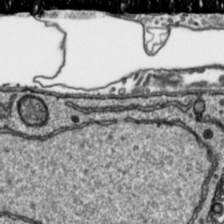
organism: Toxoplasma gondii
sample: Parasites in a vacuole inside a host cell